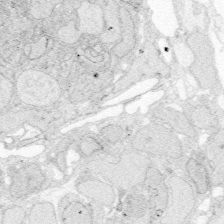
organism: Zebrafish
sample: Whole-Brain